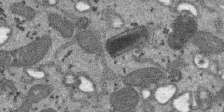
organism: Human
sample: Lung epithelial cells infected with SARS-CoV-2